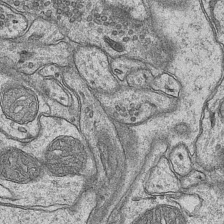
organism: Mouse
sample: CA1 Hippocampus